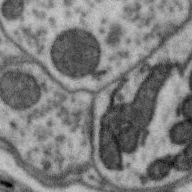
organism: Zebra finch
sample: Brain